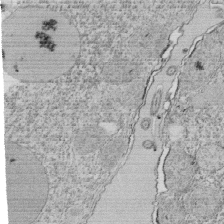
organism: Tetrahymena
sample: Cilia in tetrahymena